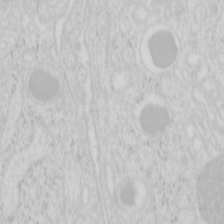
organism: Mouse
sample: Pancreas